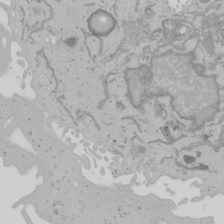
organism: Mouse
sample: Cancer cell death in ED-1 cells